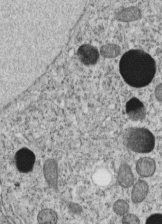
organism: C. elegans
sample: C. elegans embryo early stage